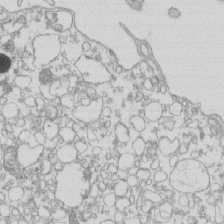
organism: Mouse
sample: Macrophages